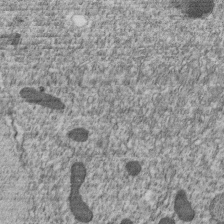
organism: C. elegans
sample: C. elegans embryo early stage